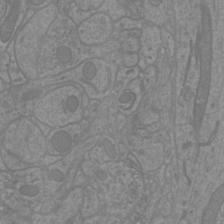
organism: Mouse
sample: Cortical neurons